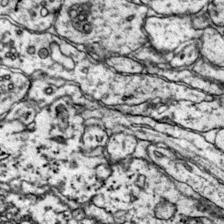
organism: Mouse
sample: Primary visual cortex